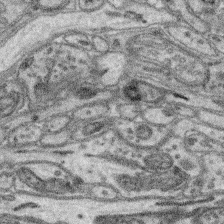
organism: Mouse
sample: Retina